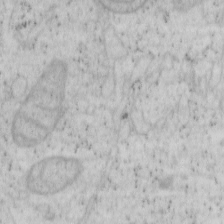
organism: Human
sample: HeLa cells